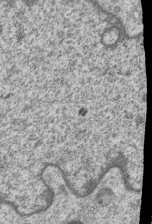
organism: Human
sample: MDA-MB-231 cells